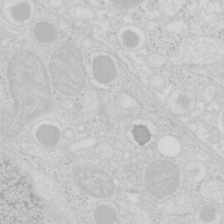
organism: Mouse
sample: Pancreas